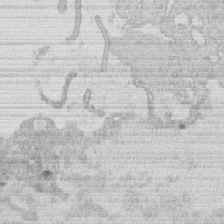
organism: Human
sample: Macrophage cells